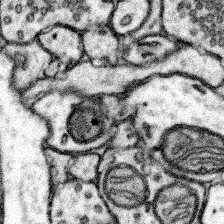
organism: Mouse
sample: Somatosensory cortex neuropil